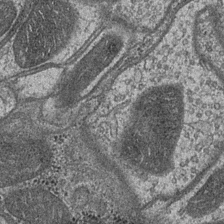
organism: Drosophila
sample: Optic medulla